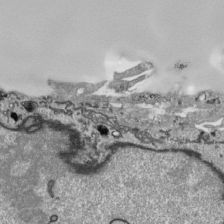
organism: Human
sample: Mitochondria in HCT116 cells